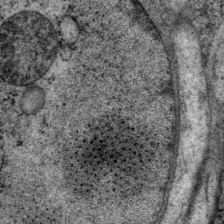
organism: P. pacificus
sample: Pharynx